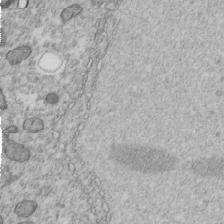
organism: C. elegans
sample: C. elegans embryo early stage